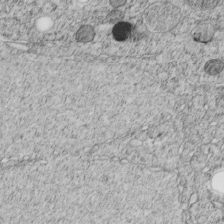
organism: C. elegans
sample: C. elegans embryo early stage